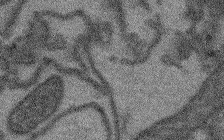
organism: Arabidopsis thaliana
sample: Root tip